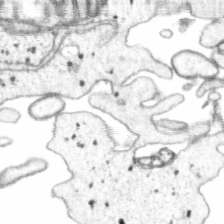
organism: Human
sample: HeLa cells